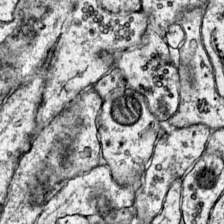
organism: Mouse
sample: Primary visual cortex